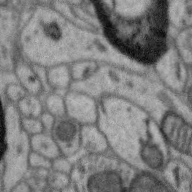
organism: Zebra finch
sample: Brain